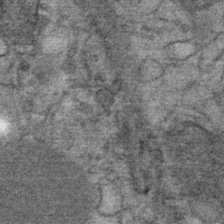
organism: Mouse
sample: Mouse Salivary gland